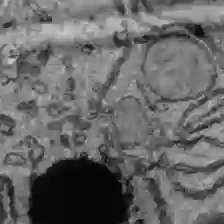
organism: C57BL Mouse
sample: Liver